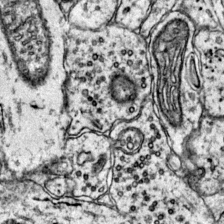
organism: Mouse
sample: Primary visual cortex